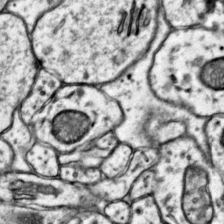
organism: Mouse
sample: Primary visual cortex